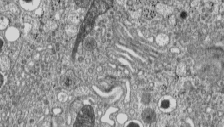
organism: C57BL Mouse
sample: Pancreatic islet